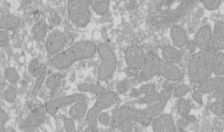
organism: Xenopus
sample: Cilia; centrioles in frog embryo cells